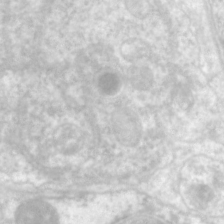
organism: C. elegans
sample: Pharynx